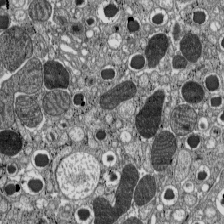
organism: C57BL Mouse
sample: Pancreatic islet